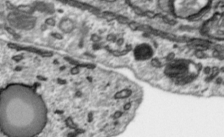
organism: Toxoplasma gondii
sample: Parasites in a vacuole inside a host cell